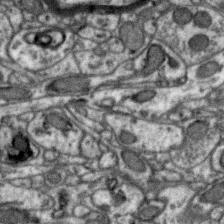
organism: Zebra finch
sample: Brain